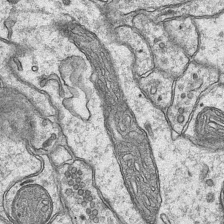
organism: Mouse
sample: CA1 Hippocampus